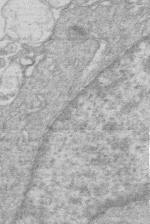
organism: Human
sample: Macrophage cells